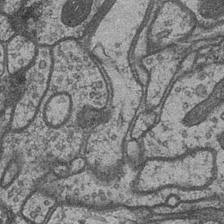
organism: Drosophila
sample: Optic medulla